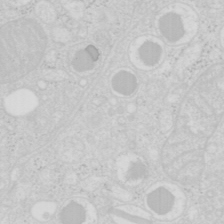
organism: Mouse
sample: Pancreas